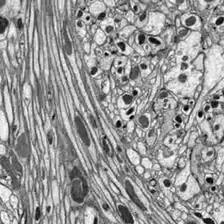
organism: Drosophila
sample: Optic lobe